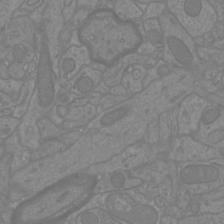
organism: Mouse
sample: Cortical neurons